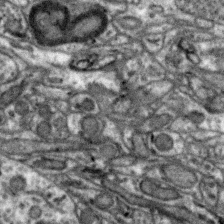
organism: Zebra finch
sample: Brain